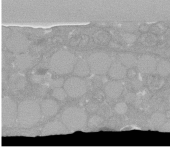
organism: C. elegans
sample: C. elegans oocyte; sperm cells